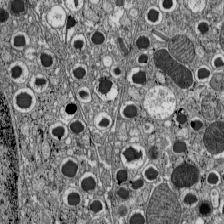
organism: C57BL Mouse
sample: Pancreatic islet